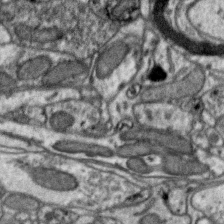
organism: Zebra finch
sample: Brain